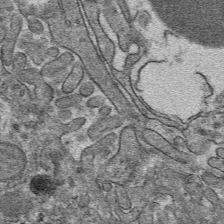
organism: Mouse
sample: Mouse hepatocytes